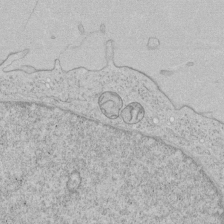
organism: Human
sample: Mitochondria in HCT116 cells